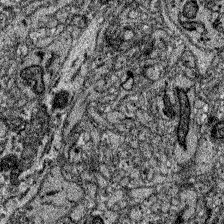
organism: Zebrafish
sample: Larval olfactory bulb